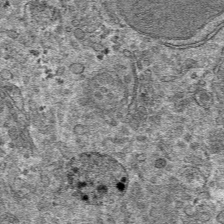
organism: Mouse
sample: Mouse hepatocytes